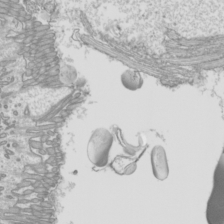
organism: Mouse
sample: Cilia; mouse epididymis